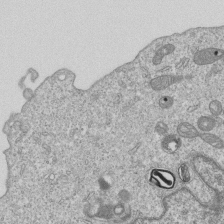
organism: Human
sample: MDA-MB-231 cells